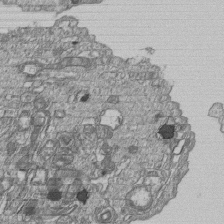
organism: Human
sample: MDA-MB-231 cells